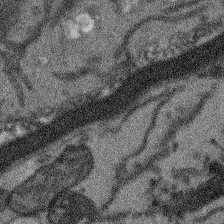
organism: Arabidopsis thaliana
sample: Root tip